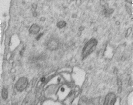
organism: Human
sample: Centriole in RPE cells